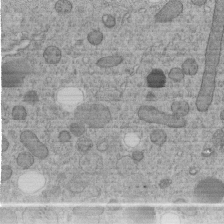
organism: C. elegans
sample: C. elegans embryo early stage